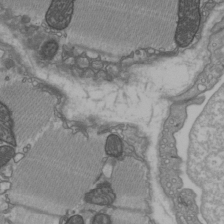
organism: C57BL Mouse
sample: Heart